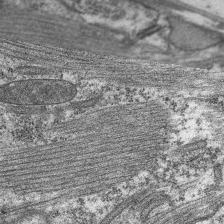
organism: C. elegans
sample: Pharynx